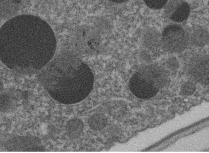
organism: C. elegans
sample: C. elegans embryo early stage